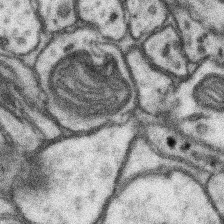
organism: Mouse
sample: Somatosensory cortex neuropil